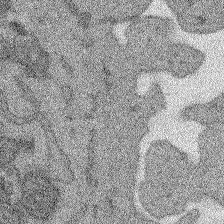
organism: Human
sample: HeLa cells